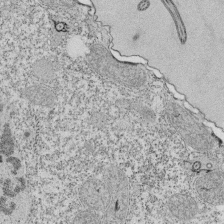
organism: Tetrahymena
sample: Cilia in tetrahymena